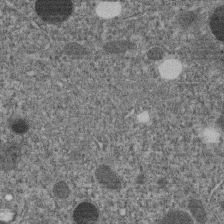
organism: C. elegans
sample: C. elegans embryo early stage